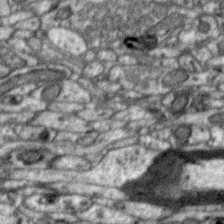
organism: Zebra finch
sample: Brain